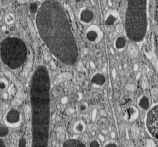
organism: C57BL Mouse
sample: Pancreatic islet